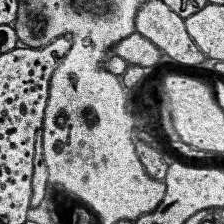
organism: Human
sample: Temporal Lobe